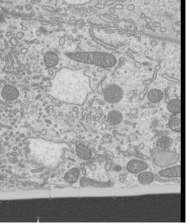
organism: Mouse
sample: Cilia; mouse epididymis